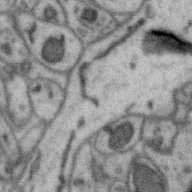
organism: Zebra finch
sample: Brain